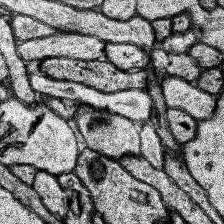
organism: Human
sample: Temporal Lobe